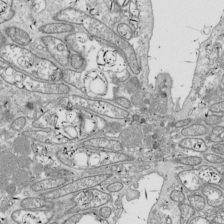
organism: Drosophila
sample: Cell division; meiosis; drosophila spermatocytes